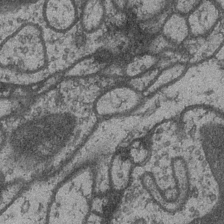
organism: Drosophila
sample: Optic medulla